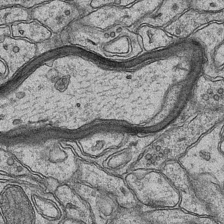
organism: Mouse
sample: CA1 Hippocampus